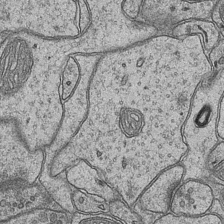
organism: Mouse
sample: CA1 Hippocampus